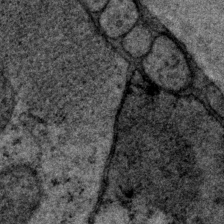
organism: P. pacificus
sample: Pharynx